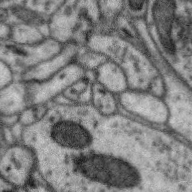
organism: Zebra finch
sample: Brain